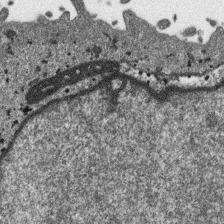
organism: Human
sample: Lung epithelial cells infected with SARS-CoV-2